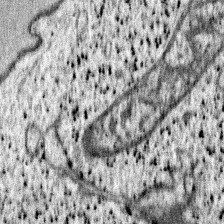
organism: Human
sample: HeLa cells